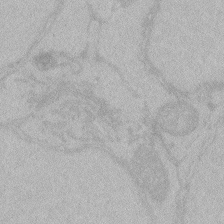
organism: Zebrafish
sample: Macrophage infected with Toxoplasma gondii